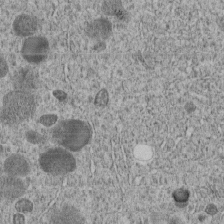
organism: C. elegans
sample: C. elegans embryo early stage